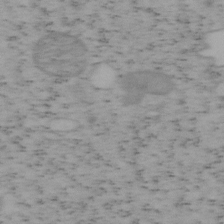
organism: Mouse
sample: OT-I killer T cells with ID8 ovarian cancer cells